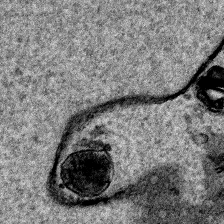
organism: Human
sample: Mitochondria in HCT116 cells